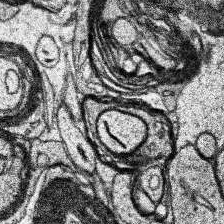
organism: Human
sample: Temporal Lobe